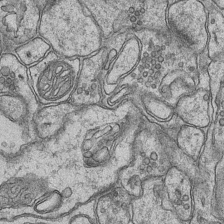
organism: Mouse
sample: CA1 Hippocampus